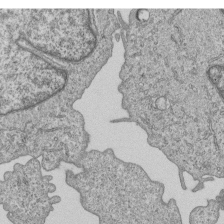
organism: Human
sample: MDA-MB-231 cells